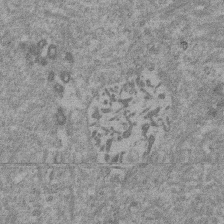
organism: Mouse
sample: Dividing mouse embryo 1 cell stage